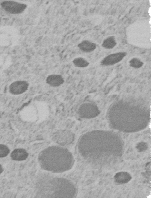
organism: C. elegans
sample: C. elegans embryo early stage